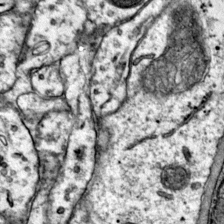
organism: Mouse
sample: Primary visual cortex